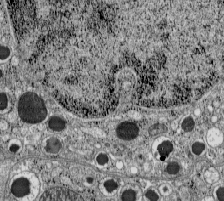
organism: C57BL Mouse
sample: Pancreatic islet